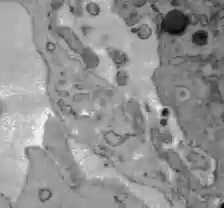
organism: C57BL Mouse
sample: Liver